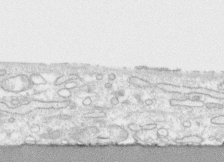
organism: Human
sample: CRL-1474